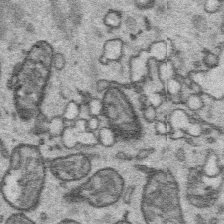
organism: Platynereis dumerilii